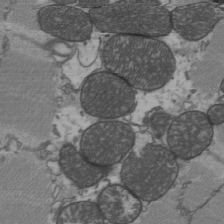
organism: C57BL Mouse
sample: Heart